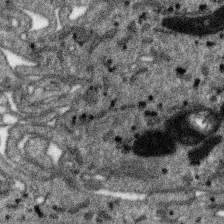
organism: Human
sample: Lung epithelial cells infected with SARS-CoV-2